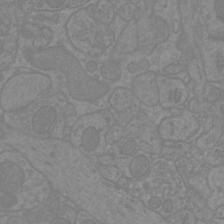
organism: Mouse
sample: Cortical neurons